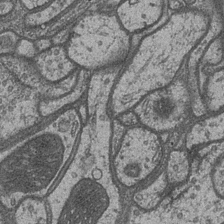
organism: Drosophila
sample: Optic medulla